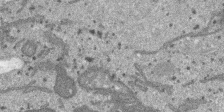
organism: Human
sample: Lung epithelial cells infected with SARS-CoV-2